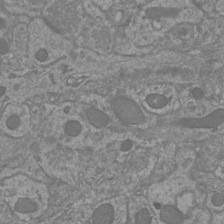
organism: Mouse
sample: Cortical neurons